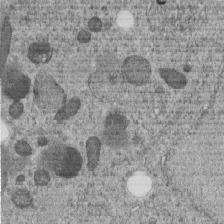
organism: C. elegans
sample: C. elegans embryo early stage